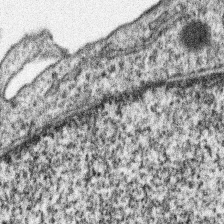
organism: Human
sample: HeLa cells